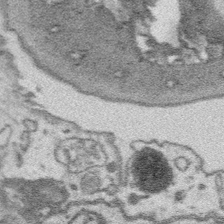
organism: Platynereis dumerilii